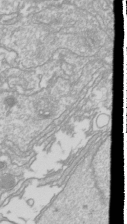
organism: Drosophila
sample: Cell division; meiosis; drosophila spermatocytes